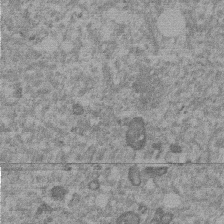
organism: Mouse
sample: Dividing mouse embryo 1 cell stage